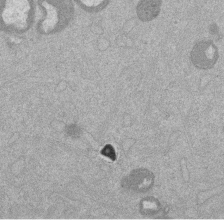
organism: Mouse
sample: Dividing mouse embryo 1 cell stage